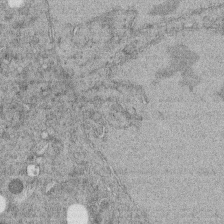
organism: C. elegans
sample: C. elegans embryo early stage